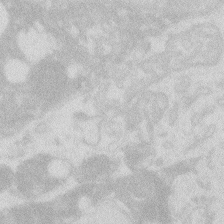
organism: Zebrafish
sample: Macrophage